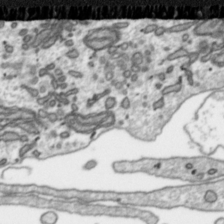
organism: Toxoplasma gondii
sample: Parasites in a vacuole inside a host cell